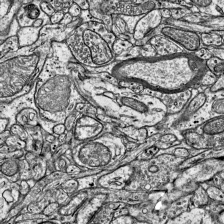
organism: Mouse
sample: Visual Cortex